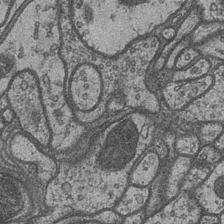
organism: Drosophila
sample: Optic medulla